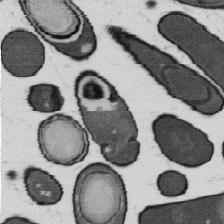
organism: B. subtilis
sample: Bacterial spore